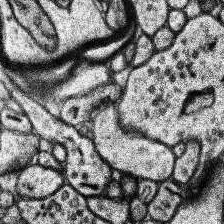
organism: Human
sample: Temporal Lobe